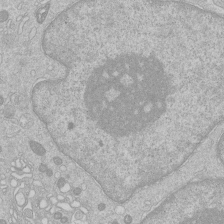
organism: Human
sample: Macrophage cells